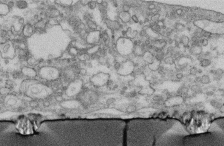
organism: Human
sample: Centriole in fibroblast cells